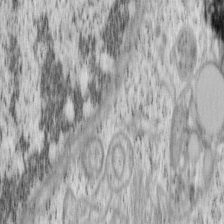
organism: Human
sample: HeLa cells